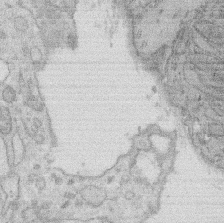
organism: Rat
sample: Salivary granule